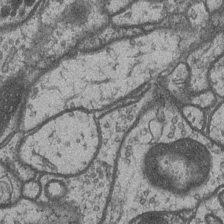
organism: Drosophila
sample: Optic medulla